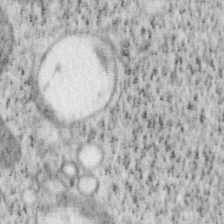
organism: Mouse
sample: OT-I killer T cells with ID8 ovarian cancer cells